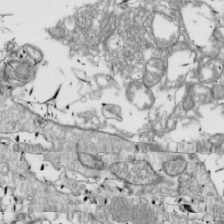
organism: Drosophila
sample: Cell division; meiosis; drosophila spermatocytes